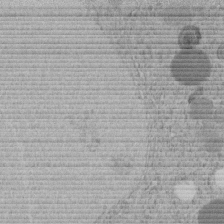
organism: C. elegans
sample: C. elegans embryo early stage